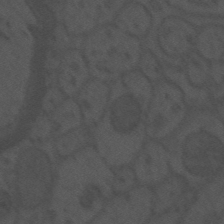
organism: Mouse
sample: Suprachiasmatic nucleus